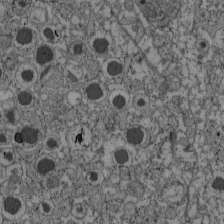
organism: C57BL Mouse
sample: Pancreatic islet